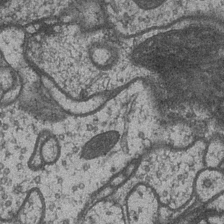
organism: Drosophila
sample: Optic medulla